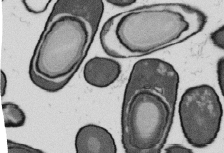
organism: B. subtilis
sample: Bacterial spore